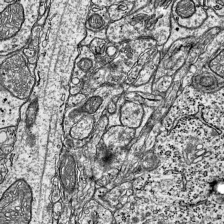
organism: Mouse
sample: Visual Cortex